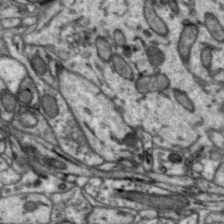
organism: Zebra finch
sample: Brain